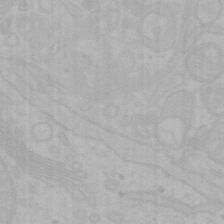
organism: Mouse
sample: Choroid plexus